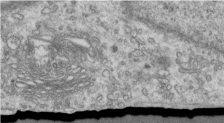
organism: Human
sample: Centriole in RPE cells